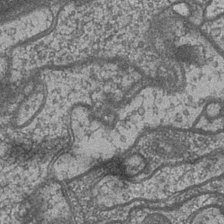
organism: Drosophila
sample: Optic medulla